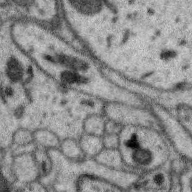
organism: Zebra finch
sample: Brain